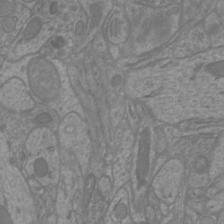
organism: Mouse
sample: Cortical neurons